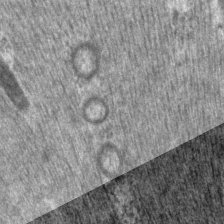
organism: P. pacificus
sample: Pharynx